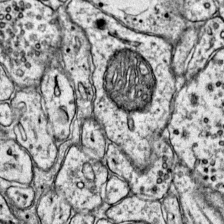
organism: Mouse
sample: Primary visual cortex